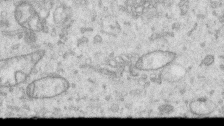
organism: Human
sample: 1205lu cells